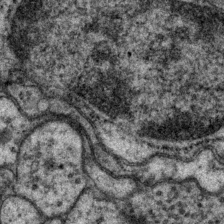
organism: P. pacificus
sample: Pharynx